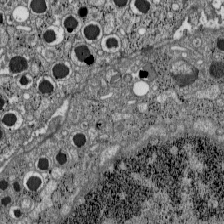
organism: C57BL Mouse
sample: Pancreatic islet